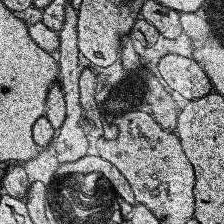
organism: Human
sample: Temporal Lobe